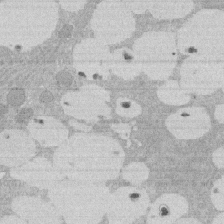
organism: Rat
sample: Salivary granule